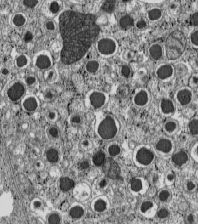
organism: C57BL Mouse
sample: Pancreatic islet